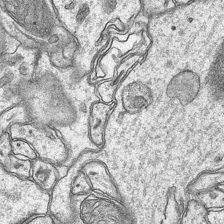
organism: Mouse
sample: CA1 Hippocampus